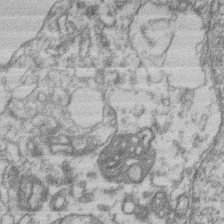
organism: Mouse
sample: T cell stromal cell synapse